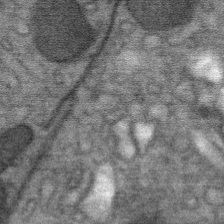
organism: Mouse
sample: Mouse Salivary gland